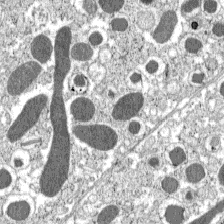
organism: C57BL Mouse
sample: Pancreatic islet